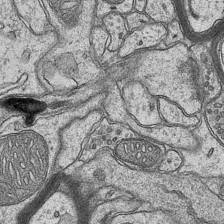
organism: Mouse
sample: CA1 Hippocampus